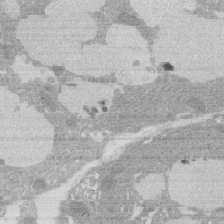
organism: Rat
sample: Salivary granule